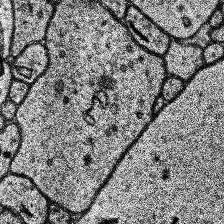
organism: Human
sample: Temporal Lobe